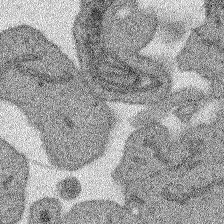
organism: Human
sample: HeLa cells